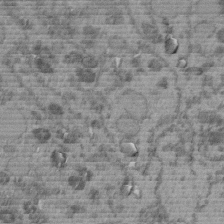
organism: C. elegans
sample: C. elegans embryo early stage